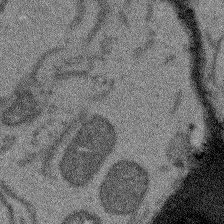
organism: Arabidopsis thaliana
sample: Root tip